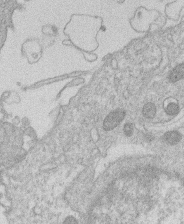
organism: Human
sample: Macrophage cells